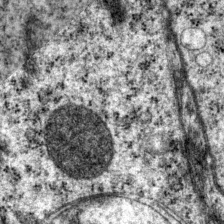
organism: P. pacificus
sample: Pharynx